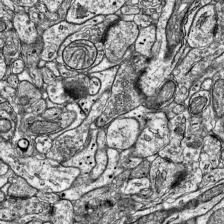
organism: Mouse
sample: Visual Cortex